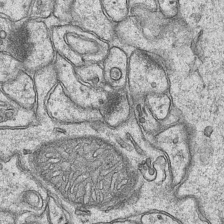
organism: Mouse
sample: CA1 Hippocampus